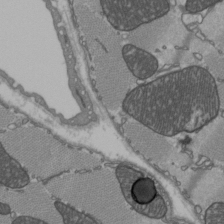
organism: C57BL Mouse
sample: Heart